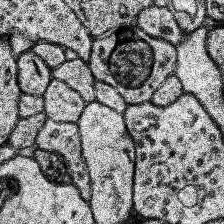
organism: Human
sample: Temporal Lobe